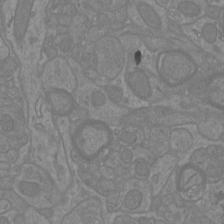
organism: Mouse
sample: Cortical neurons